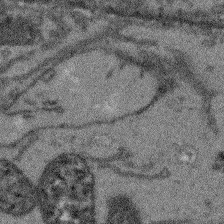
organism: Arabidopsis thaliana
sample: Root tip